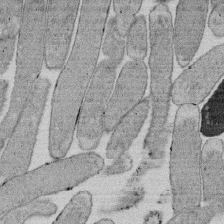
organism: E. coli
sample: Bacterial nucleoid